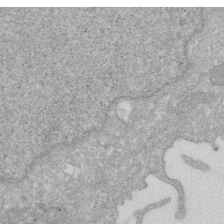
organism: Human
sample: HIV infected U937 cells